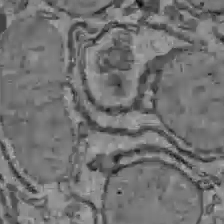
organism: C57BL Mouse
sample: Liver